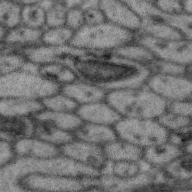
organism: Zebra finch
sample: Brain